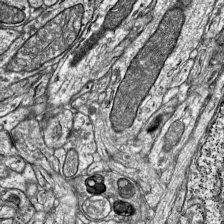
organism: Mouse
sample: Visual Cortex